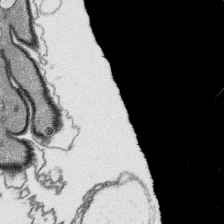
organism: Platynereis dumerilii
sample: Parapodia